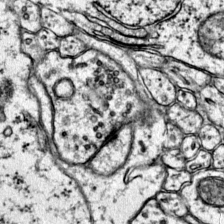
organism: Mouse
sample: Primary visual cortex